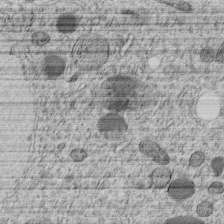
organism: C. elegans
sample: C. elegans embryo early stage